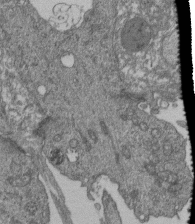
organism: Human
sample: Retinal organoid Rod and Cone cells